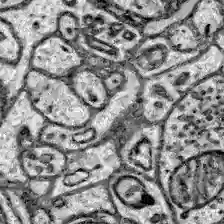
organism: Zebrafish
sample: Brain